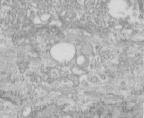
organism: Human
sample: Centriole in fibroblast cells